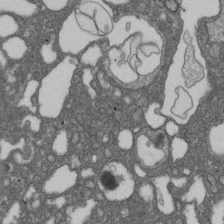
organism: Drosophila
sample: Nephrocyte